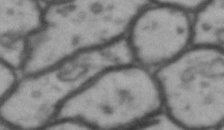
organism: Drosophila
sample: Brain